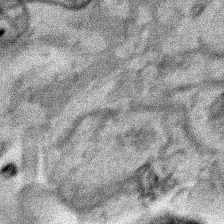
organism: Human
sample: Mitochondria in HCT116 cells